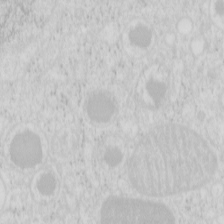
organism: Mouse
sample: Pancreas